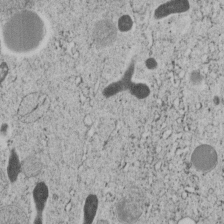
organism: C. elegans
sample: C. elegans embryo early stage